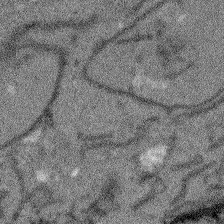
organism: Arabidopsis thaliana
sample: Root tip